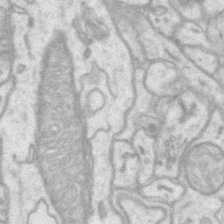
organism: Mouse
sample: CA1 Hippocampus